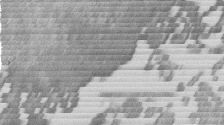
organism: Mouse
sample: Dividing mouse embryo 1 cell stage